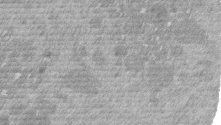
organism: Mouse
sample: Dividing mouse embryo 1 cell stage